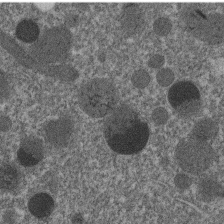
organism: C. elegans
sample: C. elegans embryo early stage